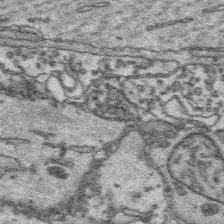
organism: Platynereis dumerilii